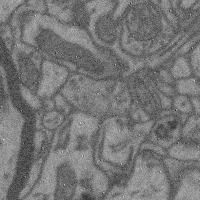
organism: Mouse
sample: Cerebral cortex